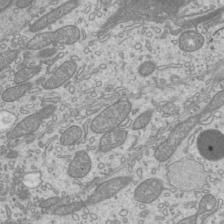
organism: Mouse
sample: Cilia; mouse epididymis